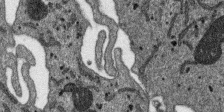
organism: Human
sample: Lung epithelial cells infected with SARS-CoV-2